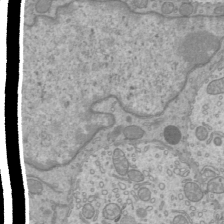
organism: Mouse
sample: Cilia; mouse epididymis